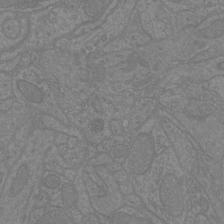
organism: Mouse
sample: Cortical neurons